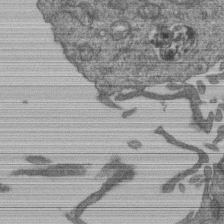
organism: Human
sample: Retinal organoid Rod and Cone cells